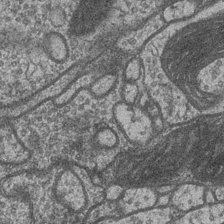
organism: Drosophila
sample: Optic medulla